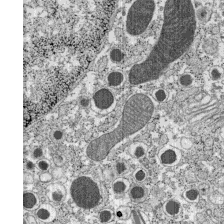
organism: C57BL Mouse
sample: Pancreatic islet